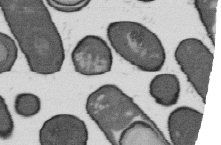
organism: B. subtilis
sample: Bacterial spore